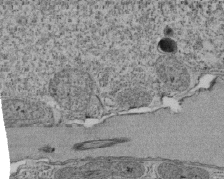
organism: Tetrahymena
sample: Cilia in tetrahymena